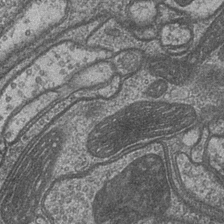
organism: Drosophila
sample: Optic medulla